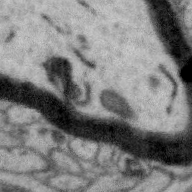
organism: Zebra finch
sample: Brain